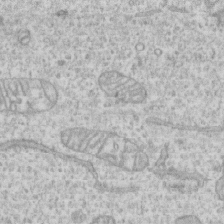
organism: Human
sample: CRL-1474